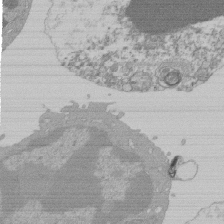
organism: Mouse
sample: Activated Pmel transgenic CD8+ T Cells